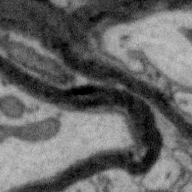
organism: Zebra finch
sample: Brain